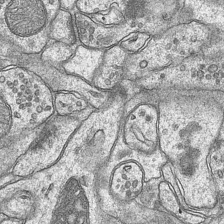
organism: Mouse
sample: CA1 Hippocampus